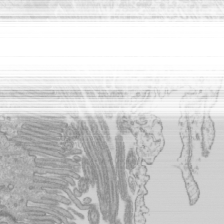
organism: Mouse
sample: Cilia; mouse epididymis